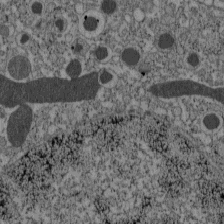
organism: C57BL Mouse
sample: Pancreatic islet